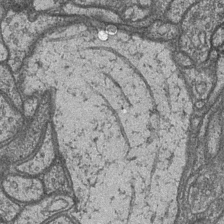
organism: Drosophila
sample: Optic medulla